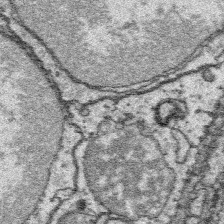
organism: Platynereis dumerilii